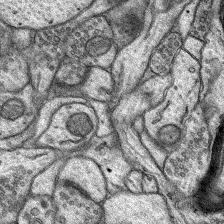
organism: Rat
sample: Hippocampus